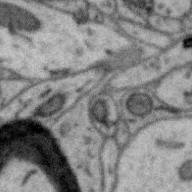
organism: Zebra finch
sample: Brain